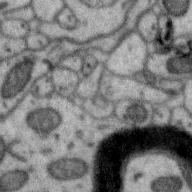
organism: Zebra finch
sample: Brain